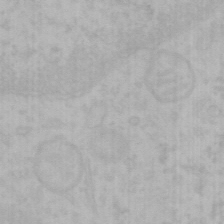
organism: Mouse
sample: Choroid plexus